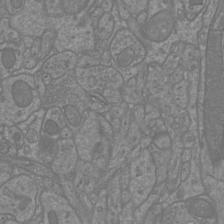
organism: Mouse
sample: Cortical neurons